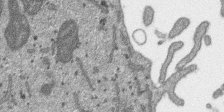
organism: Human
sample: Lung epithelial cells infected with SARS-CoV-2